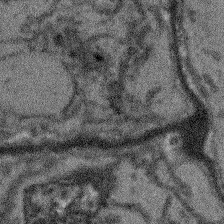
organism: Arabidopsis thaliana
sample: Root tip